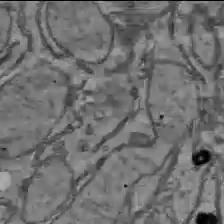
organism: C57BL Mouse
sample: Liver